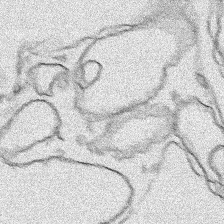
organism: Human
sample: Mitochondria in HCT116 cells